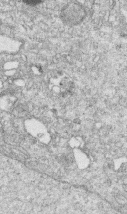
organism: Human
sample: HeLa cell HIV synapse